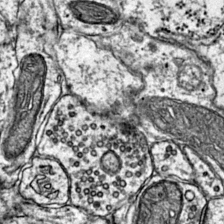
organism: Mouse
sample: Primary visual cortex